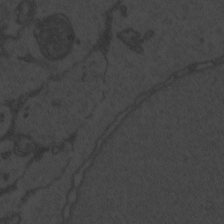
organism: Zebrafish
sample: Macrophage infected with Toxoplasma gondii